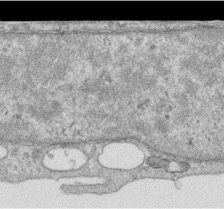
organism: Human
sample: Centriole in RPE cells